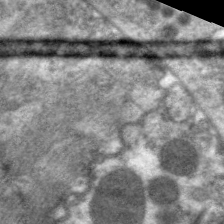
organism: C. elegans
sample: Pharynx